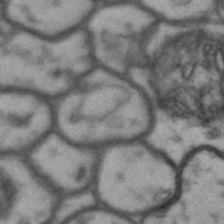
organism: Drosophila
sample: Brain